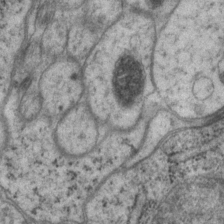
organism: P. pacificus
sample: Pharynx